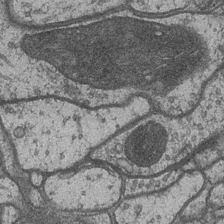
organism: Drosophila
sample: Optic medulla